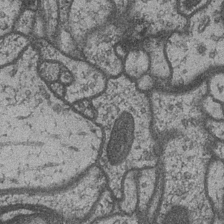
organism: Drosophila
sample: Optic medulla